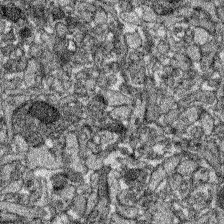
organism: Zebrafish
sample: Larval olfactory bulb